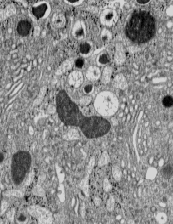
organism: C57BL Mouse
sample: Pancreatic islet